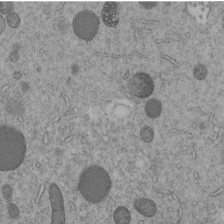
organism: C. elegans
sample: C. elegans embryo early stage